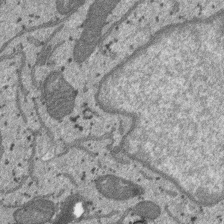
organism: Human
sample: Lung epithelial cells infected with SARS-CoV-2